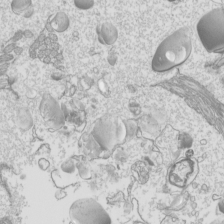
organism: Mouse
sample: Cilia; mouse epididymis